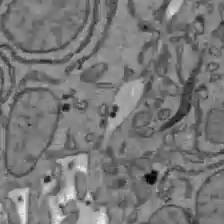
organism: C57BL Mouse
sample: Liver